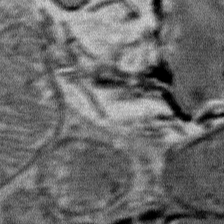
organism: Mouse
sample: Mouse Salivary gland